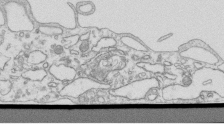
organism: Mouse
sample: Macrophages